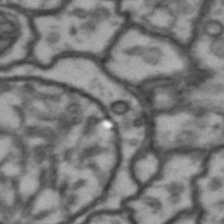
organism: Drosophila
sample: Brain